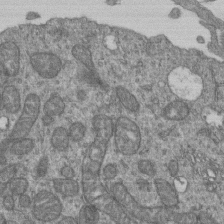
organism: Human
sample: Retinal organoid Rod and Cone cells